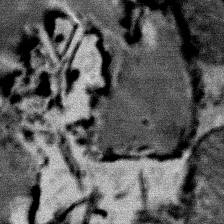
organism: Mouse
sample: Mouse Salivary gland